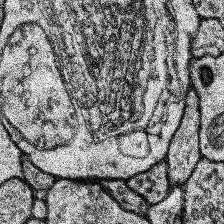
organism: Human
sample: Temporal Lobe